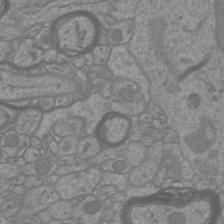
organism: Mouse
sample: Cortical neurons